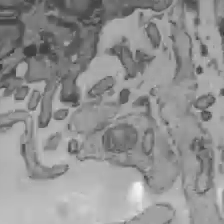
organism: C57BL Mouse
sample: Liver